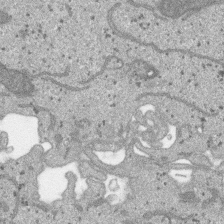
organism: Human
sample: Lung epithelial cells infected with SARS-CoV-2